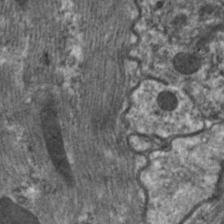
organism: C. elegans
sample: Pharynx